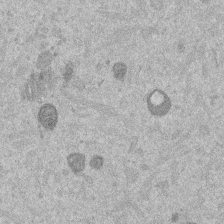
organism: Mouse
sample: Dividing mouse embryo 1 cell stage